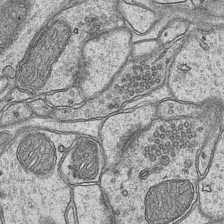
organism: Mouse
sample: CA1 Hippocampus